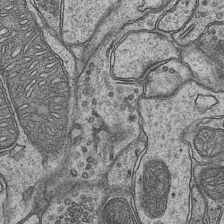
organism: Mouse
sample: CA1 Hippocampus